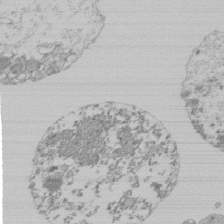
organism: Mouse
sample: Activated Pmel transgenic CD8+ T Cells